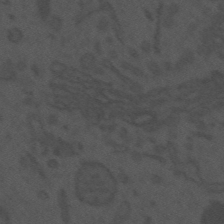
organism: Mouse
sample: Suprachiasmatic nucleus